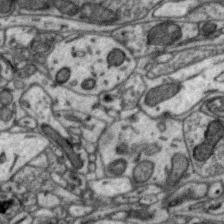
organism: Zebra finch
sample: Brain